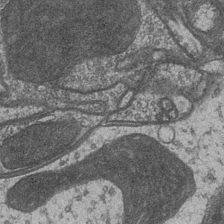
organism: Drosophila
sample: Optic medulla